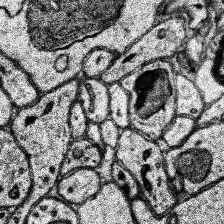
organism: Human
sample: Temporal Lobe